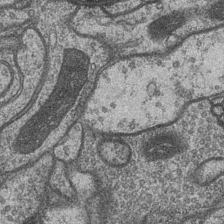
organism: Drosophila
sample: Optic medulla